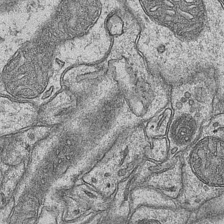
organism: Mouse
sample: CA1 Hippocampus